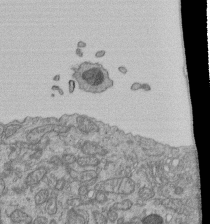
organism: Human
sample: Retinal organoid Rod and Cone cells